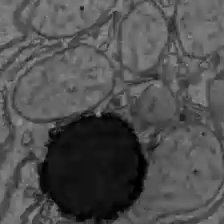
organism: C57BL Mouse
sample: Liver